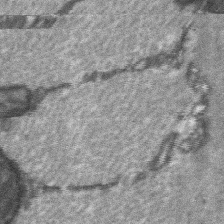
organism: C57BL Mouse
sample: Soleus